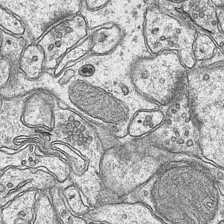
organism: Mouse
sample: CA1 Hippocampus